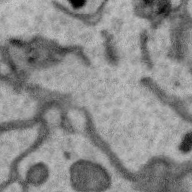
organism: Zebra finch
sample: Brain